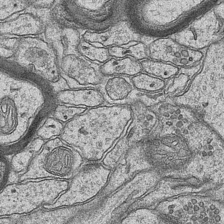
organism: Mouse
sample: CA1 Hippocampus